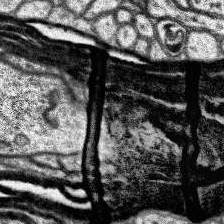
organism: Human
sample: Temporal Lobe